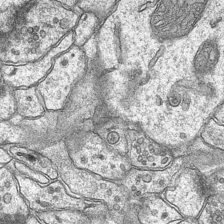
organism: Mouse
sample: CA1 Hippocampus